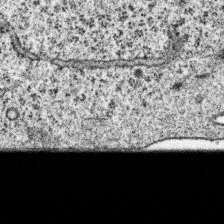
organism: Human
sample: HeLa cells